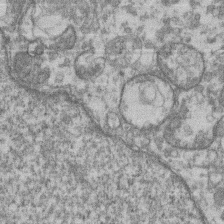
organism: Mouse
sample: T cell stromal cell synapse